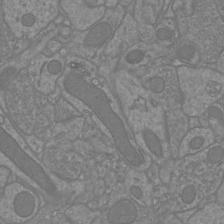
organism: Mouse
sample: Cortical neurons